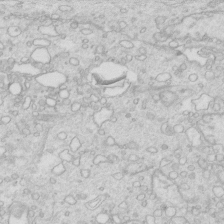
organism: Mouse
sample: Multiciliated cells